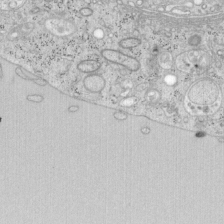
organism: Mouse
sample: OT-I killer T cells with ID8 ovarian cancer cells